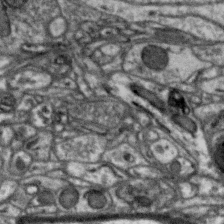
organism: Zebra finch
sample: Brain